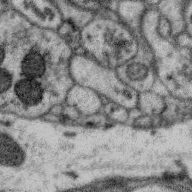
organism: Zebra finch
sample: Brain